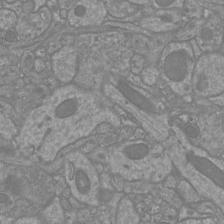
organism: Mouse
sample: Cortical neurons